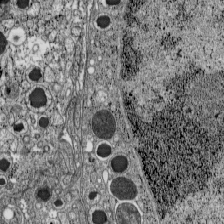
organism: C57BL Mouse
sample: Pancreatic islet